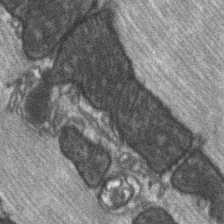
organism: C57BL Mouse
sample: Soleus